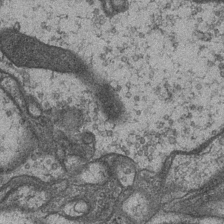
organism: Drosophila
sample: Optic medulla